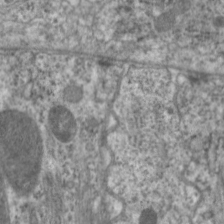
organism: C. elegans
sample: Pharynx